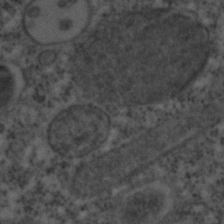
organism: C. elegans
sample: C. elegans embryo